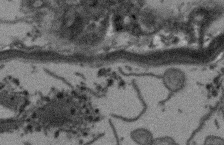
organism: Arabidopsis thaliana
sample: Root tip